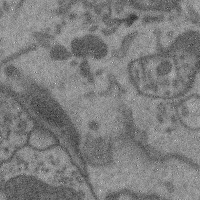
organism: Mouse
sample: Cerebral cortex